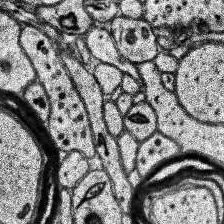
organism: Human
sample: Temporal Lobe